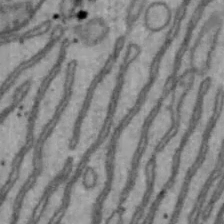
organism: Mouse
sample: Liver